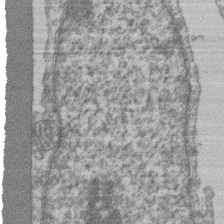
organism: Mouse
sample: T cell stromal cell synapse